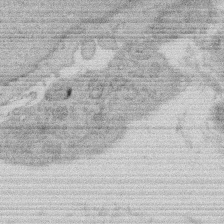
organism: Rat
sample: Salivary granule